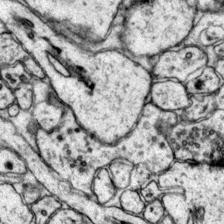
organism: Mouse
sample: Primary visual cortex